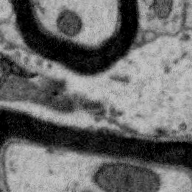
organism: Zebra finch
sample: Brain